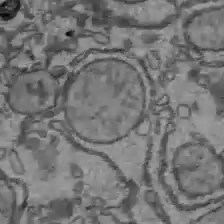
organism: C57BL Mouse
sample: Liver